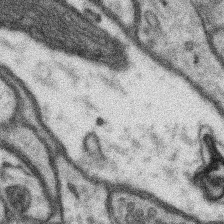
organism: Mouse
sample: Somatosensory cortex neuropil